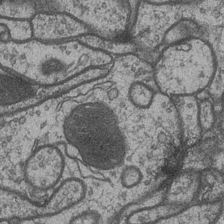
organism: Drosophila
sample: Optic medulla